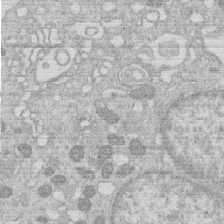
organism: Human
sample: Macrophage cells